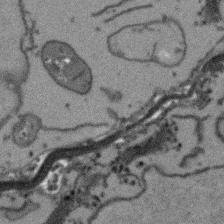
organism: Arabidopsis thaliana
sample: Root tip